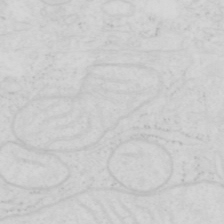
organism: Human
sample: SUM-159 cell